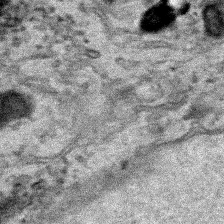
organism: Human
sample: Mitochondria in HCT116 cells